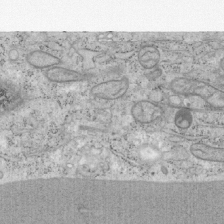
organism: Human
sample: HeLa cells